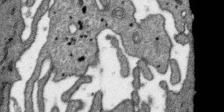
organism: Human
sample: Lung epithelial cells, uninfected (mock) control